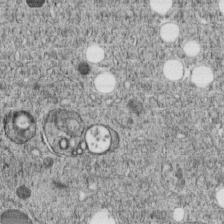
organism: C. elegans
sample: C. elegans embryo early stage